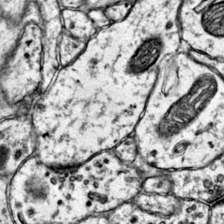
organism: Mouse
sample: Primary visual cortex